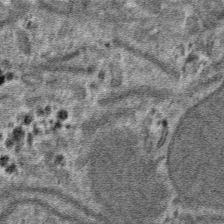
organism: Mouse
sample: Mouse hepatocytes